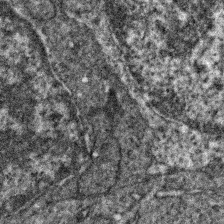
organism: Zebrafish